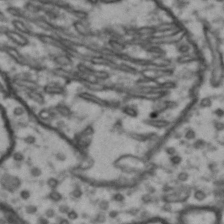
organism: Drosophila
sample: Brain